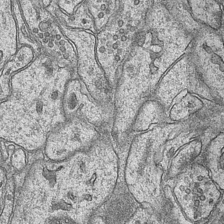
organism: Mouse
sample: CA1 Hippocampus